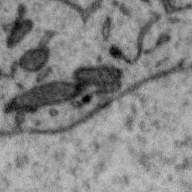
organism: Zebra finch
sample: Brain